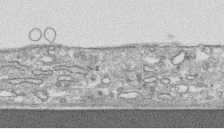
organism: Human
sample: CRL-1474